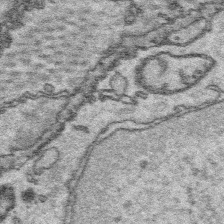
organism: Platynereis dumerilii